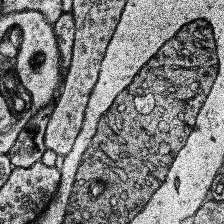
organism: Human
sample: Temporal Lobe